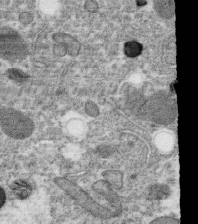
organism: C. elegans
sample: C. elegans oocyte; sperm cells